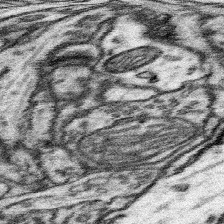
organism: Mouse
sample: Somatosensory cortex neuropil